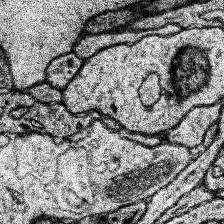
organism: Human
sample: Temporal Lobe